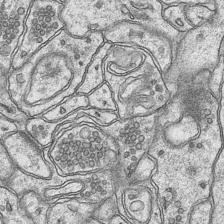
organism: Mouse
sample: CA1 Hippocampus